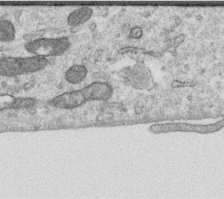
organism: Human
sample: Centriole in RPE cells